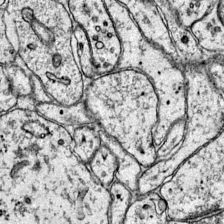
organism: Mouse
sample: Primary visual cortex